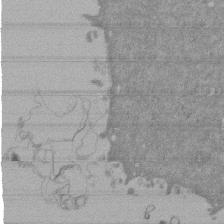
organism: Mouse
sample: ED-1 cell nuclei; centrioles